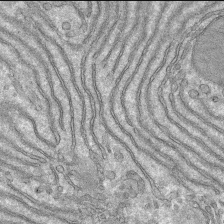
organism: Mouse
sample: Mouse hepatocytes